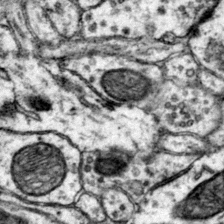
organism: Mouse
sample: Primary visual cortex